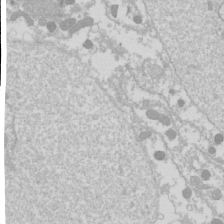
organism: Drosophila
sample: Cell division; meiosis; drosophila spermatocytes